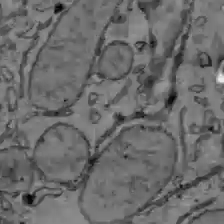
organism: C57BL Mouse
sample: Liver